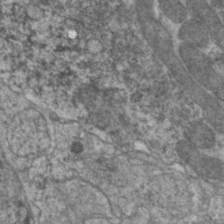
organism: C. elegans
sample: Pharynx